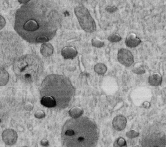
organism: C. elegans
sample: C. elegans embryo early stage